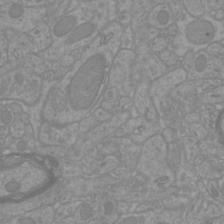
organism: Mouse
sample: Cortical neurons